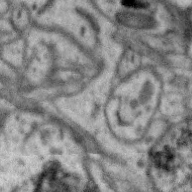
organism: Zebra finch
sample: Brain